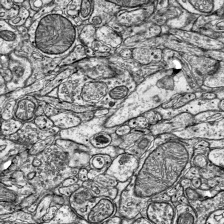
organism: Mouse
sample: Visual Cortex